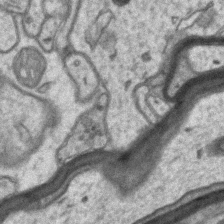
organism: Mouse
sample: CA1 Hippocampus